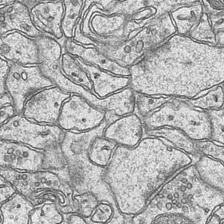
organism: Mouse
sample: CA1 Hippocampus